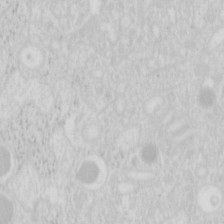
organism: Mouse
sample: Pancreas